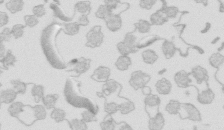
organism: Mouse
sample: Multiciliated cells